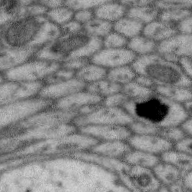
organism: Zebra finch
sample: Brain